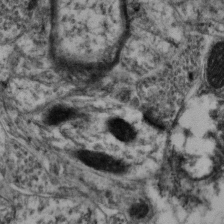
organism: Mouse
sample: Neocortex